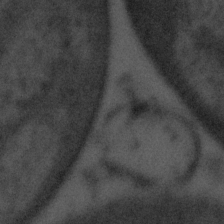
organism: Tuwongella immobilis